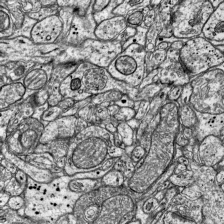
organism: Mouse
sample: Visual Cortex